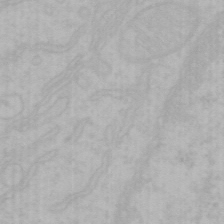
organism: Mouse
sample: Choroid plexus